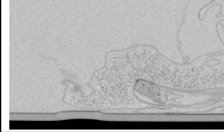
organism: Human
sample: Mitochondria in HCT116 cells